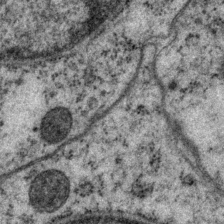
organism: P. pacificus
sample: Pharynx